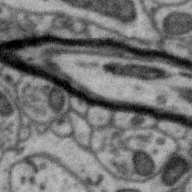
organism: Zebra finch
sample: Brain